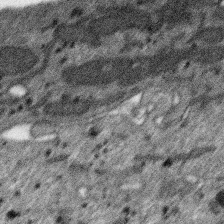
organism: Human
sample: Lung epithelial cells infected with SARS-CoV-2